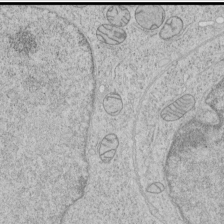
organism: Human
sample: Mitochondria in HCT116 cells